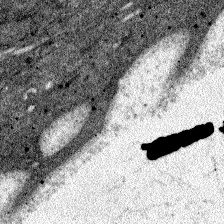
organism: Zebrafish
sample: Larval olfactory bulb